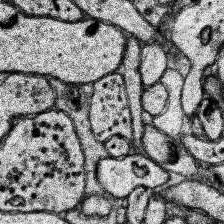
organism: Human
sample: Temporal Lobe